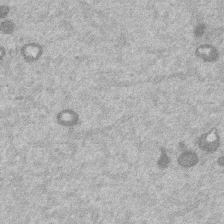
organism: Mouse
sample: Dividing mouse embryo 1 cell stage